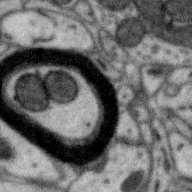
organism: Zebra finch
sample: Brain